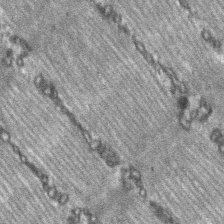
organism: C57BL Mouse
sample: Soleus